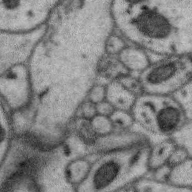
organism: Zebra finch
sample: Brain